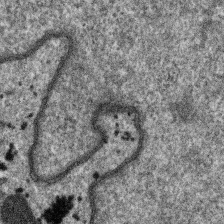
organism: Human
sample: Lung epithelial cells infected with SARS-CoV-2